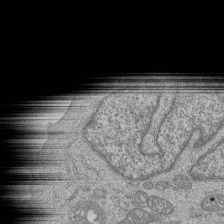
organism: Human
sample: MDA-MB-231 cells